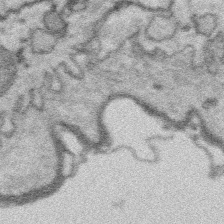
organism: Platynereis dumerilii